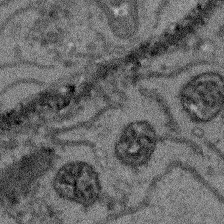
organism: Arabidopsis thaliana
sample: Root tip